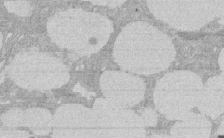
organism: Rat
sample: Salivary granule